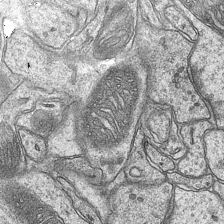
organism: Mouse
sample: CA1 Hippocampus